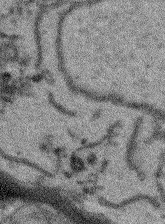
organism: Arabidopsis thaliana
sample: Root tip